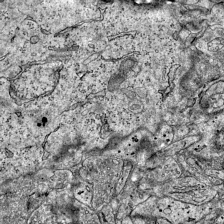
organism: Mouse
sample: Visual Cortex